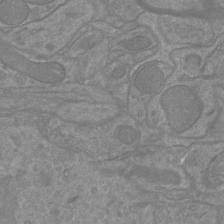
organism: Mouse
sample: Cortical neurons